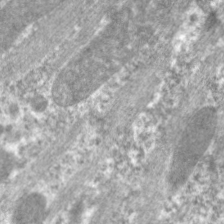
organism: C. elegans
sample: Pharynx